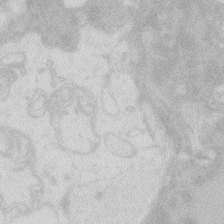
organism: Zebrafish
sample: Macrophage